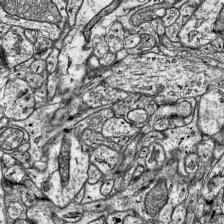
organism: Mouse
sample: Visual Cortex